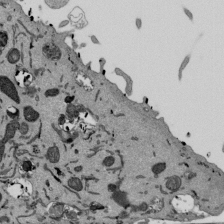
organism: Mouse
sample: ED-1 cell nuclei; centrioles